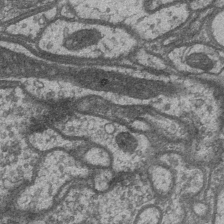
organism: Drosophila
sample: Optic medulla